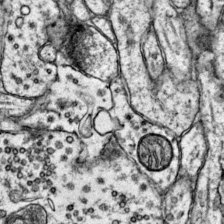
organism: Mouse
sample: Primary visual cortex